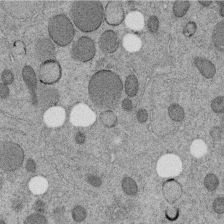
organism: C. elegans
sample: C. elegans embryo early stage